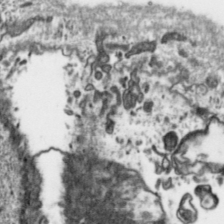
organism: Toxoplasma gondii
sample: Parasites in a vacuole inside a host cell